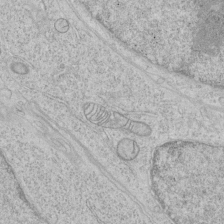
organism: Human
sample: Mitochondria in HCT116 cells